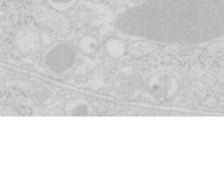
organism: Mouse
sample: Pancreas